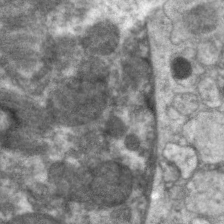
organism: C. elegans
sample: Pharynx